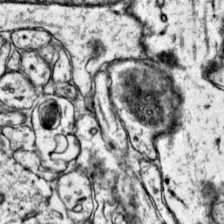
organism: Mouse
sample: Primary visual cortex